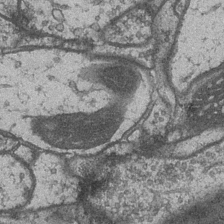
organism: Drosophila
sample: Optic medulla